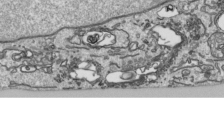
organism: Human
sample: Mitochondria in HCT116 cells